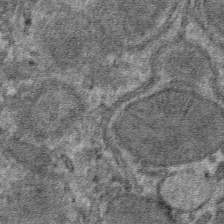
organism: Mouse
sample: Mouse hepatocytes